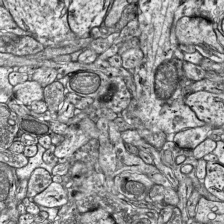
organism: Mouse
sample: Visual Cortex